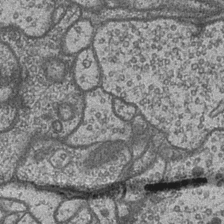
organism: Drosophila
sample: Optic medulla